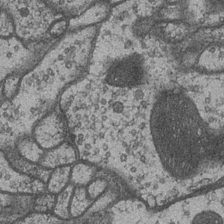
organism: Drosophila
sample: Optic medulla